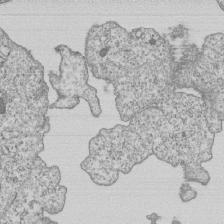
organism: Human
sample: MDA-MB-231 cells